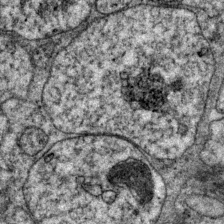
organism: P. pacificus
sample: Pharynx